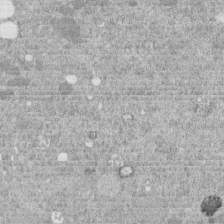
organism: C. elegans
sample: C. elegans embryo early stage